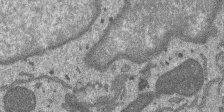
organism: Human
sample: Lung epithelial cells infected with SARS-CoV-2